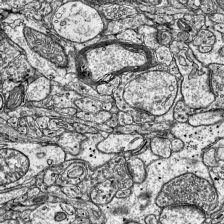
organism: Mouse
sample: Visual Cortex